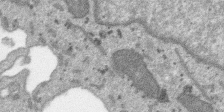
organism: Human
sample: Lung epithelial cells infected with SARS-CoV-2